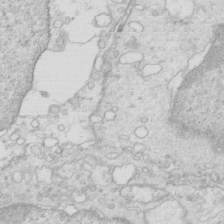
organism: Mouse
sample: Multiciliated cells